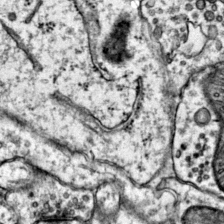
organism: Mouse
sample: Primary visual cortex